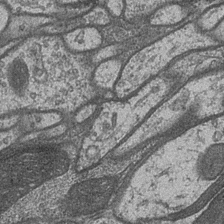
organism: Drosophila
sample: Optic medulla